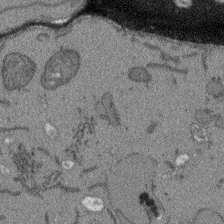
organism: Arabidopsis thaliana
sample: Root tip